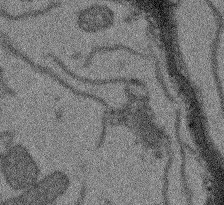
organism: Arabidopsis thaliana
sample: Root tip